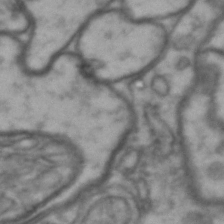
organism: Drosophila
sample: Brain